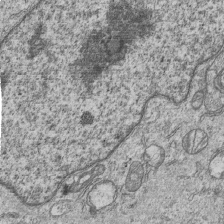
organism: Human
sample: MDA-MB-231 cells